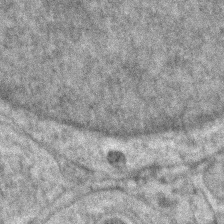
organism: Zebrafish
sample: Zebrafish embryo